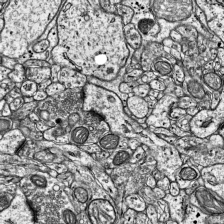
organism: Mouse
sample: Visual Cortex